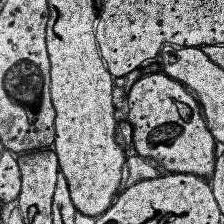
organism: Human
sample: Temporal Lobe